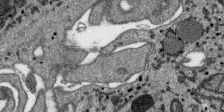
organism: Human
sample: Lung epithelial cells, uninfected (mock) control